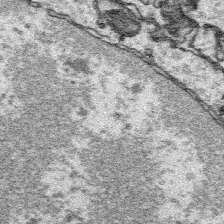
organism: Platynereis dumerilii